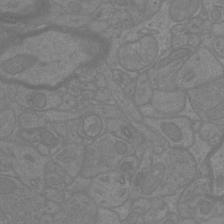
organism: Mouse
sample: Cortical neurons